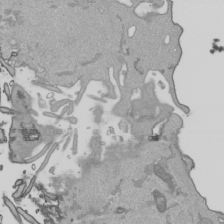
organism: Human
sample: Mitochondria in HCT116 cells